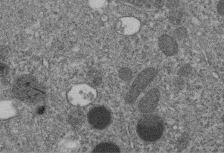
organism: C. elegans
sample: C. elegans embryo early stage